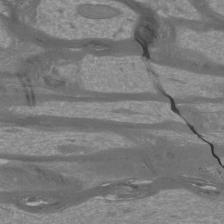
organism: Mouse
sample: Cortical neurons